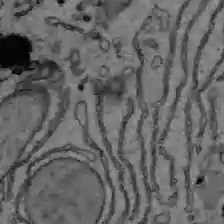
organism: C57BL Mouse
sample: Liver